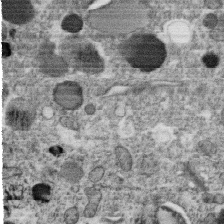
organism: C. elegans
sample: C. elegans oocyte; sperm cells